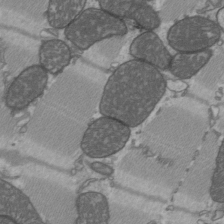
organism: C57BL Mouse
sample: Heart